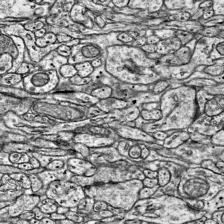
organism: Mouse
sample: Visual Cortex